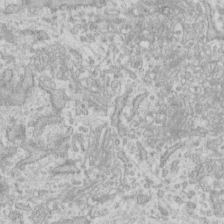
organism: Human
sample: Fibroblast cells